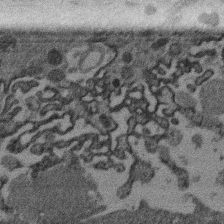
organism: Mouse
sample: Dividing mouse embryo 1 cell stage